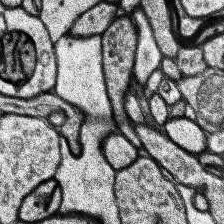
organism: Human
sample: Temporal Lobe